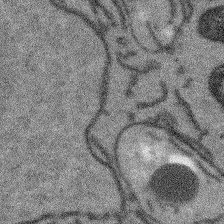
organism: Arabidopsis thaliana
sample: Root tip